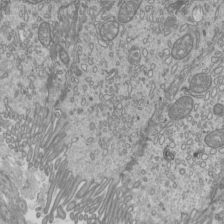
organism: Mouse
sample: Cilia; mouse epididymis